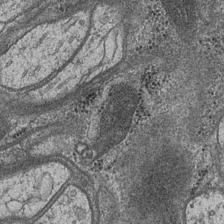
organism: Drosophila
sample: Optic medulla